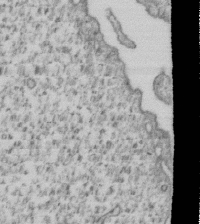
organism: Human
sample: MDA-MB-231 cells